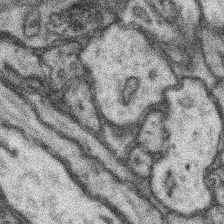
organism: Mouse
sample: Somatosensory cortex neuropil